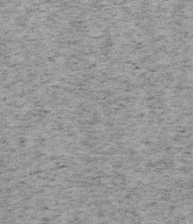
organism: Mouse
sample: OT-I killer T cells with ID8 ovarian cancer cells